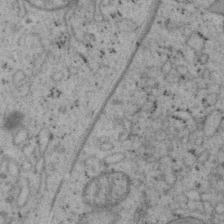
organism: Human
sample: HeLa cells